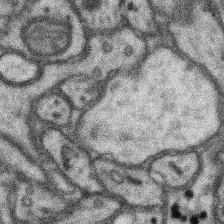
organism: Mouse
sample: Somatosensory cortex neuropil